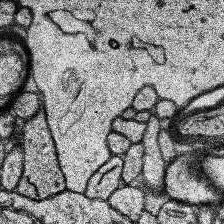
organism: Human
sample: Temporal Lobe